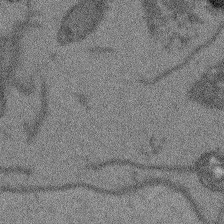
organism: Arabidopsis thaliana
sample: Root tip